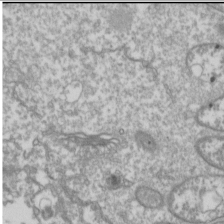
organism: Drosophila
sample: Cell division; meiosis; drosophila spermatocytes